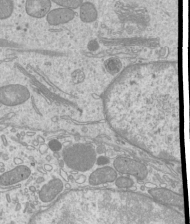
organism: Mouse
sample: Cilia; mouse epididymis